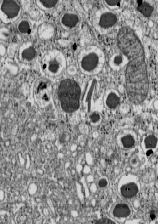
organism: C57BL Mouse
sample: Pancreatic islet